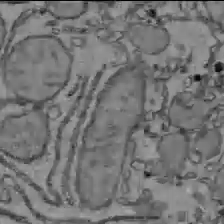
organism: C57BL Mouse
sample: Liver